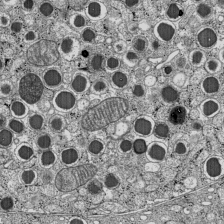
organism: C57BL Mouse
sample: Pancreatic islet